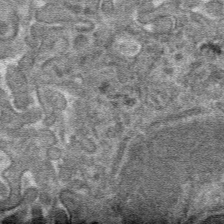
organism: Mouse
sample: Mouse hepatocytes